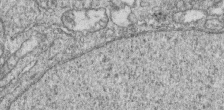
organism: Human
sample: HeLa cell HIV synapse